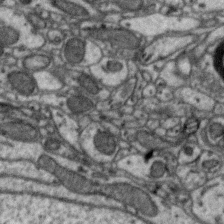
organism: Zebra finch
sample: Brain